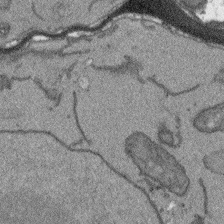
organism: Arabidopsis thaliana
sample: Root tip